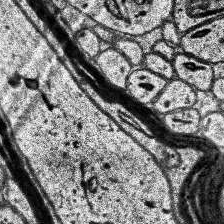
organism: Human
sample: Temporal Lobe